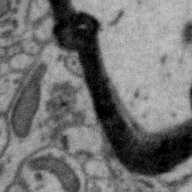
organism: Zebra finch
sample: Brain